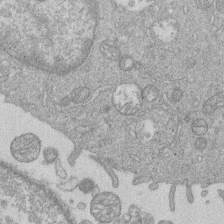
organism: Human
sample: Macrophage cells